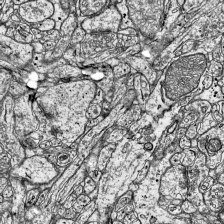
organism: Mouse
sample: Visual Cortex